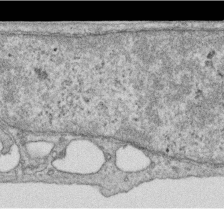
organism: Human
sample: Centriole in RPE cells